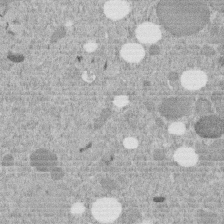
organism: C. elegans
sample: C. elegans embryo early stage